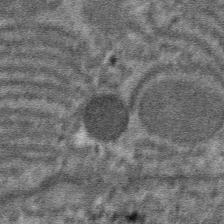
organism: Mouse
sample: Mouse hepatocytes